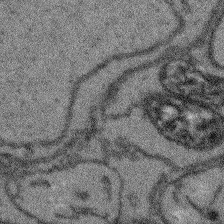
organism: Arabidopsis thaliana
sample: Root tip